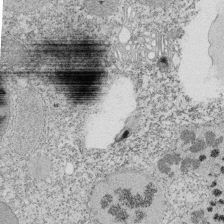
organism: Tetrahymena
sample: Cilia in tetrahymena